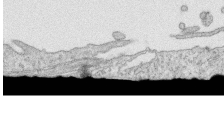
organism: Human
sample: HeLa cell HIV synapse